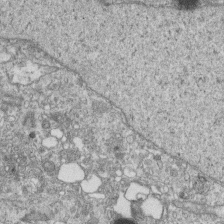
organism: Human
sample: HeLa cell HIV synapse